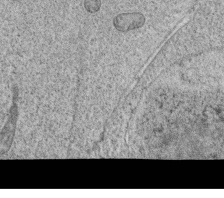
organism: C. elegans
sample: C. elegans oocyte; sperm cells